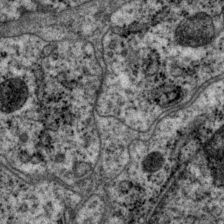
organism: P. pacificus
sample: Pharynx